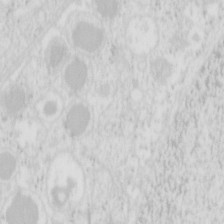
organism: Mouse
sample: Pancreas